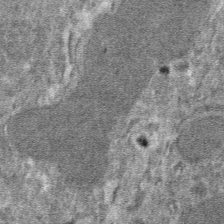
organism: Mouse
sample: Mouse hepatocytes